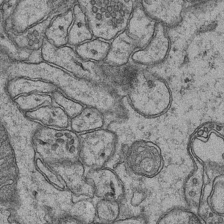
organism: Mouse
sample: CA1 Hippocampus